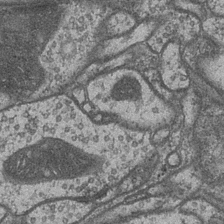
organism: Drosophila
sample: Optic medulla